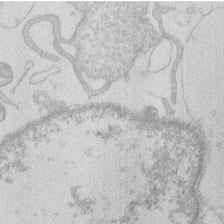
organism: Human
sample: Macrophage cells